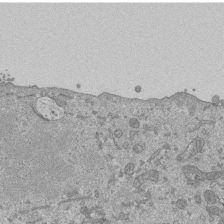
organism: Mouse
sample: ED-1 cell nuclei; centrioles